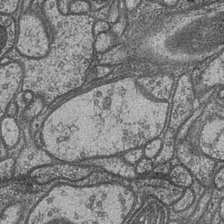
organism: Drosophila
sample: Optic medulla